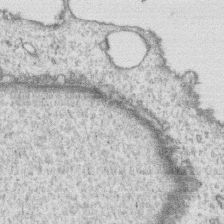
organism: Human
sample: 1205lu cells